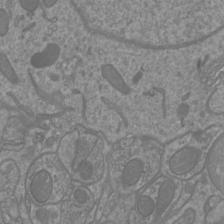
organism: Mouse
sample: Cortical neurons